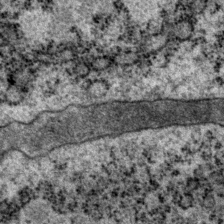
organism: P. pacificus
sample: Pharynx